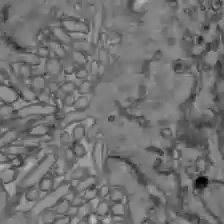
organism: C57BL Mouse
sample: Liver